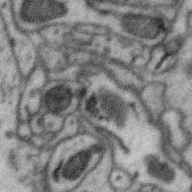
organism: Zebra finch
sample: Brain